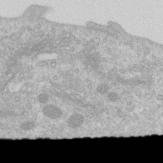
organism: Human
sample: Centriole in RPE cells